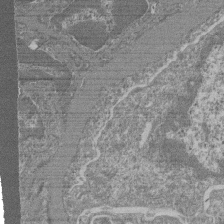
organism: Mouse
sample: Glomerulus